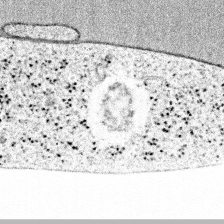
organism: Human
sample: HeLa cells